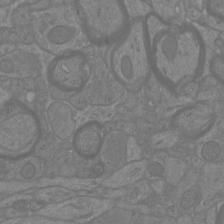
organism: Mouse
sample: Cortical neurons